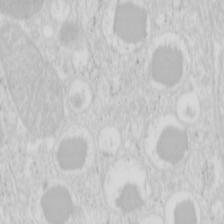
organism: Mouse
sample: Pancreas